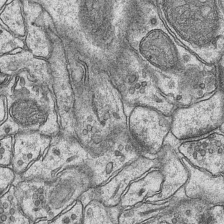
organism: Mouse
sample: CA1 Hippocampus